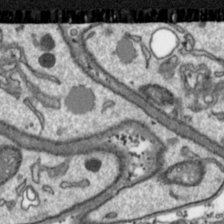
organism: Toxoplasma gondii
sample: Parasites in a vacuole inside a host cell